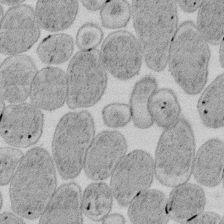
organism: E. coli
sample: Bacterial nucleoid